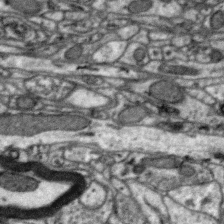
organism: Zebra finch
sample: Brain